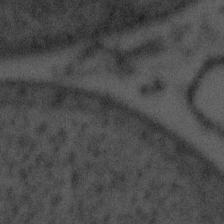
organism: Tuwongella immobilis